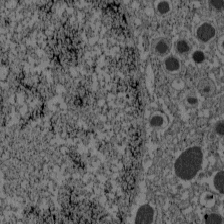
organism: C57BL Mouse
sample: Pancreatic islet